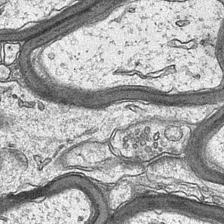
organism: Mouse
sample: CA1 Hippocampus